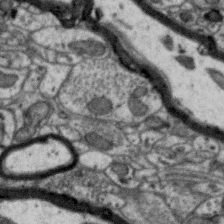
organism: Zebra finch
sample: Brain